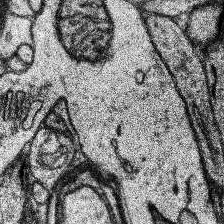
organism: Human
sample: Temporal Lobe